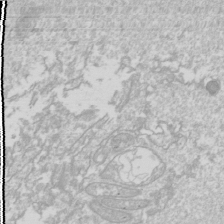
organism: Drosophila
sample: Cell division; meiosis; drosophila spermatocytes